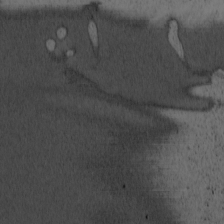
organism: African green monkey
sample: COS-7 cells